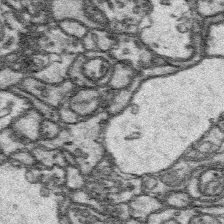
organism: Platynereis dumerilii